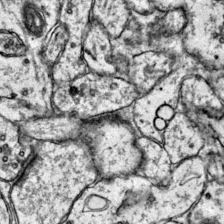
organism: Mouse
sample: Primary visual cortex